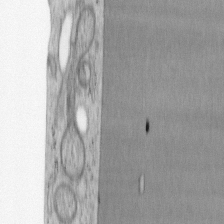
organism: Human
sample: HeLa cells